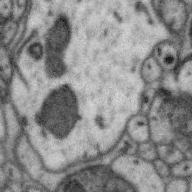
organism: Zebra finch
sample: Brain